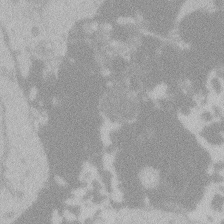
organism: Zebrafish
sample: Macrophage infected with Toxoplasma gondii